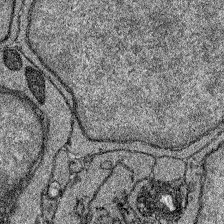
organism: Zebrafish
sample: Larval olfactory bulb